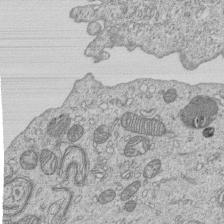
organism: Human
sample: MDA-MB-231 cells